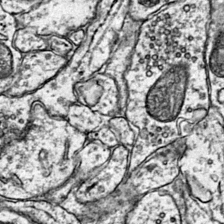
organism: Mouse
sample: Primary visual cortex